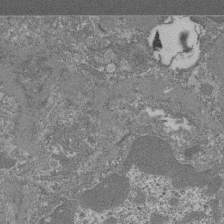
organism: Mouse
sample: Glomerulus